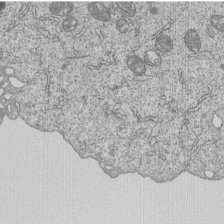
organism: Human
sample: MDA-MB-231 cells